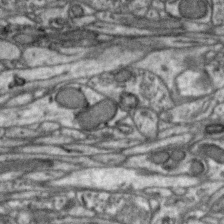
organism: Zebra finch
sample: Brain